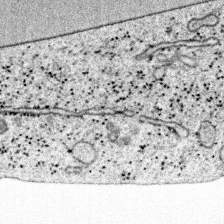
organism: Human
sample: HeLa cells